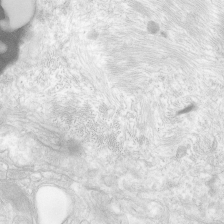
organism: Human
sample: Neocortex